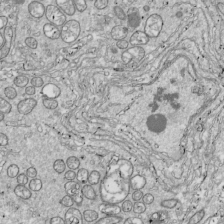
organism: Drosophila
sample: Cell division; meiosis; drosophila spermatocytes